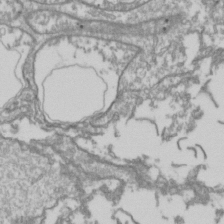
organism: Drosophila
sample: Cell division; meiosis; drosophila spermatocytes